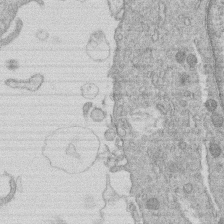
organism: Human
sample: Macrophage cells